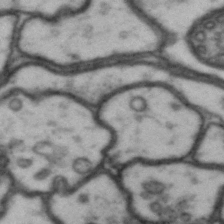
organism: Drosophila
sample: Brain